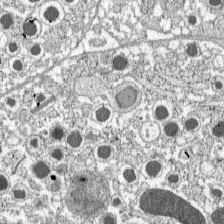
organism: C57BL Mouse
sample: Pancreatic islet